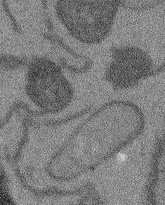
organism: Arabidopsis thaliana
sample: Root tip